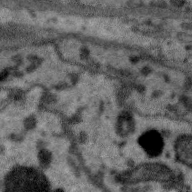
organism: Zebra finch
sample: Brain